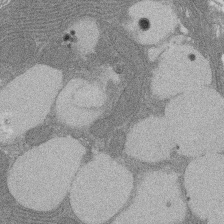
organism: Rat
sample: Salivary granule